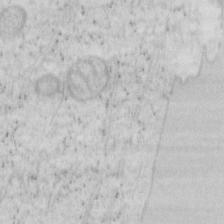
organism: Human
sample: HeLa cells